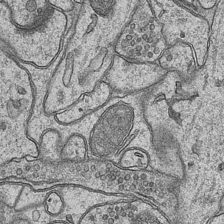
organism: Mouse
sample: CA1 Hippocampus